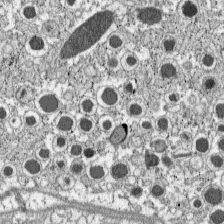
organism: C57BL Mouse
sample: Pancreatic islet